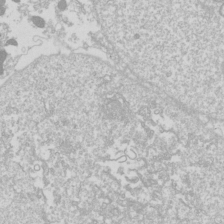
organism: Drosophila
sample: Cell division; meiosis; drosophila spermatocytes